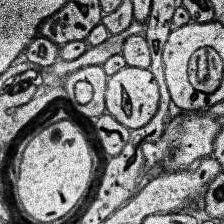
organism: Human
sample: Temporal Lobe